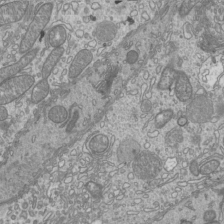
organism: Mouse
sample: Cilia; mouse epididymis